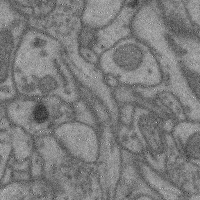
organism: Mouse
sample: Cerebral cortex